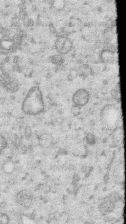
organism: Human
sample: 1205lu cells